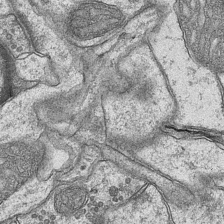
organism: Mouse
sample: CA1 Hippocampus